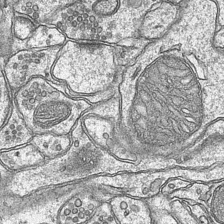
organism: Mouse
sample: CA1 Hippocampus